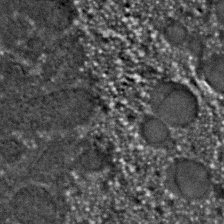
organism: C. elegans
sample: C. elegans embryo